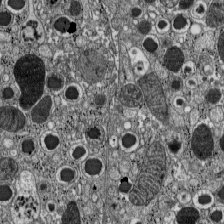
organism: C57BL Mouse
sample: Pancreatic islet